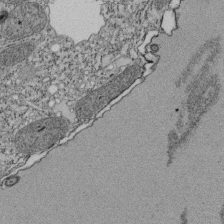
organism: Tetrahymena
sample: Cilia in tetrahymena